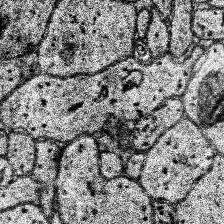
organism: Human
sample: Temporal Lobe